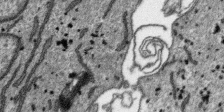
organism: Human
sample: Lung epithelial cells, uninfected (mock) control